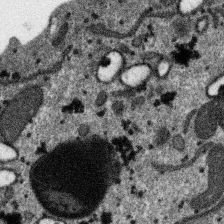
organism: Human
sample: Lung epithelial cells infected with SARS-CoV-2